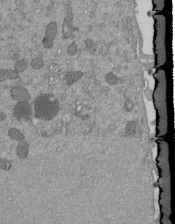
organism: Mouse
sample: ED-1 cell nuclei; centrioles